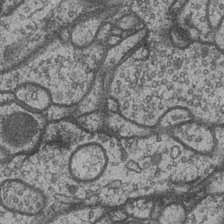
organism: Drosophila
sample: Optic medulla